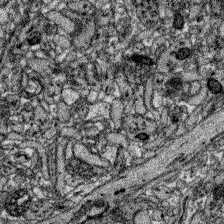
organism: Zebrafish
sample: Larval olfactory bulb